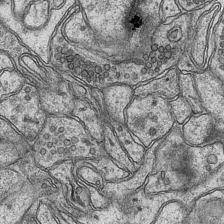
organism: Mouse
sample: CA1 Hippocampus